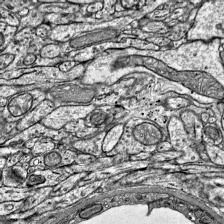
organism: Mouse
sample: Visual Cortex